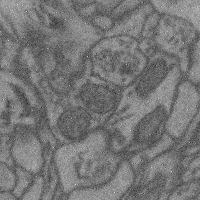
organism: Mouse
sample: Cerebral cortex